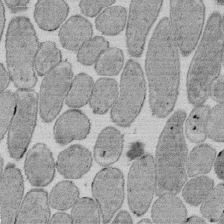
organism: E. coli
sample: Bacterial nucleoid